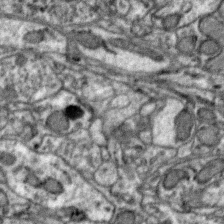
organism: Zebra finch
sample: Brain